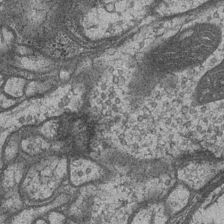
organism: Drosophila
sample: Optic medulla